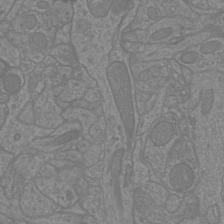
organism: Mouse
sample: Cortical neurons